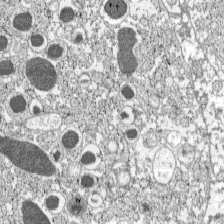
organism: C57BL Mouse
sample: Pancreatic islet